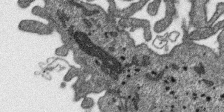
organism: Human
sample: Lung epithelial cells infected with SARS-CoV-2